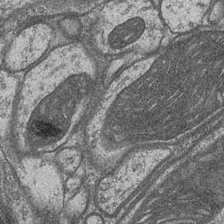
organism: Drosophila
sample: Optic medulla